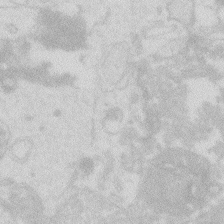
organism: Zebrafish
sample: Macrophage